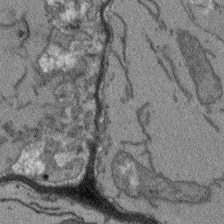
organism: Arabidopsis thaliana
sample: Root tip